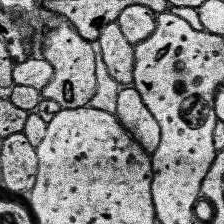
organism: Human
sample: Temporal Lobe